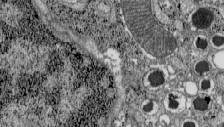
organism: C57BL Mouse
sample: Pancreatic islet